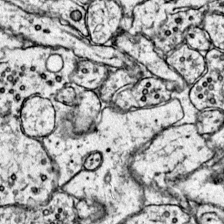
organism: Mouse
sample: Primary visual cortex